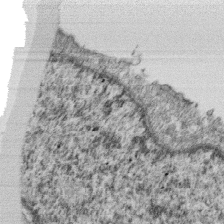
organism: African green monkey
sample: Vero E6 cells infected with SARS-CoV-2